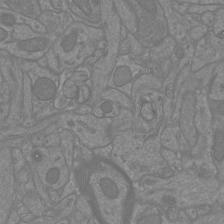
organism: Mouse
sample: Cortical neurons